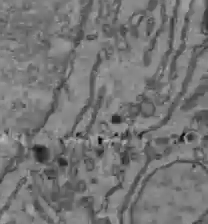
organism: C57BL Mouse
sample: Liver